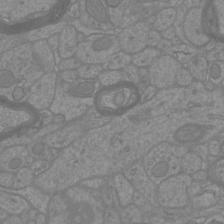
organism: Mouse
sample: Cortical neurons